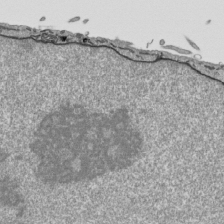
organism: Human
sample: Mitochondria in HCT116 cells